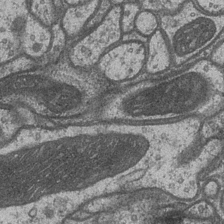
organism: Drosophila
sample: Optic medulla